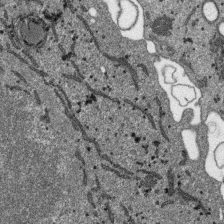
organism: Human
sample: Lung epithelial cells infected with SARS-CoV-2